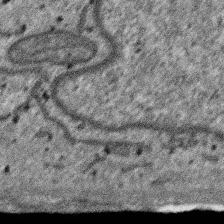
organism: Human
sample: Lung epithelial cells infected with SARS-CoV-2